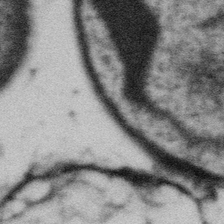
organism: Gemmata obscuriglobus